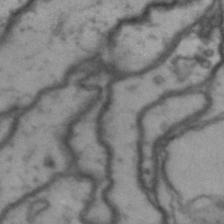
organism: Drosophila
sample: Brain